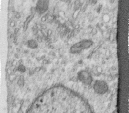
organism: Human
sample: Centriole in RPE cells